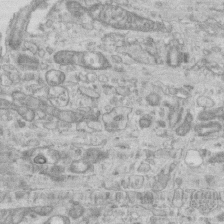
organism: Mouse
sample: Centriole in ependymal cells